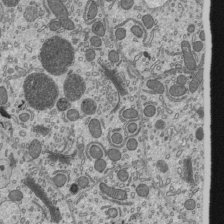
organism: Mouse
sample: Mouse epididymis efferent ductule cilia